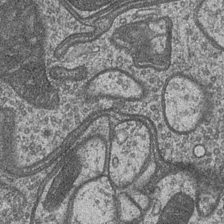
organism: Drosophila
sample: Optic medulla